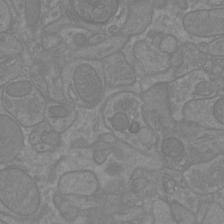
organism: Mouse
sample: Cortical neurons